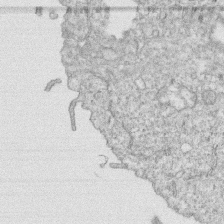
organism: Human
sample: HeLa cell HIV synapse